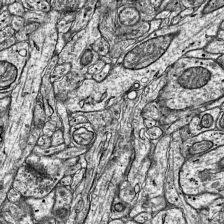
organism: Mouse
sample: Visual Cortex